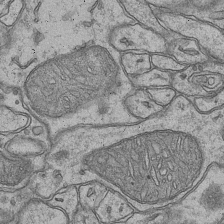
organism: Mouse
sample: CA1 Hippocampus